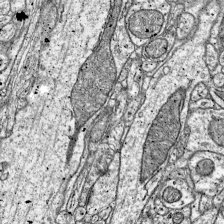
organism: Mouse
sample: Visual Cortex